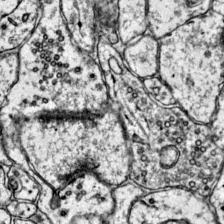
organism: Mouse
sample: Primary visual cortex